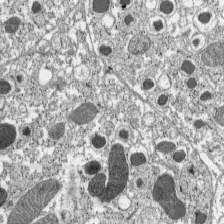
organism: C57BL Mouse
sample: Pancreatic islet